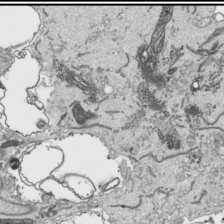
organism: Human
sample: Mitochondria in HCT116 cells